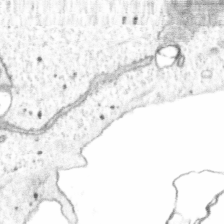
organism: Human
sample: HeLa cells